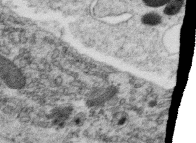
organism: C. elegans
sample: C. elegans oocyte; sperm cells